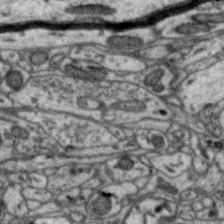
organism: Zebra finch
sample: Brain